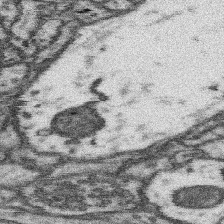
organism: Mouse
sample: Somatosensory cortex neuropil